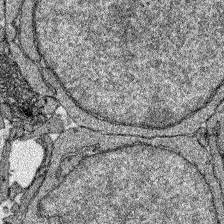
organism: Zebrafish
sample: Larval olfactory bulb